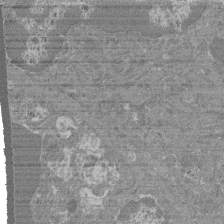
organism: Mouse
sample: Glomerulus